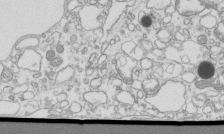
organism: Mouse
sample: Macrophages